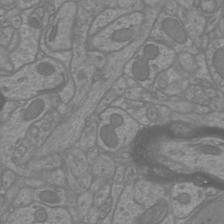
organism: Mouse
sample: Cortical neurons